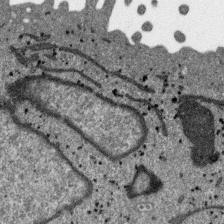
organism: Human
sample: Lung epithelial cells, uninfected (mock) control